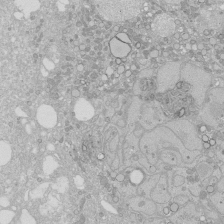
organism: Human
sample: Caco-2 cells